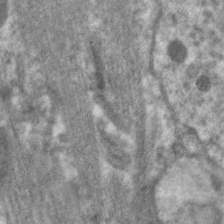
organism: C. elegans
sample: Pharynx